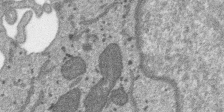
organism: Human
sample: Lung epithelial cells infected with SARS-CoV-2